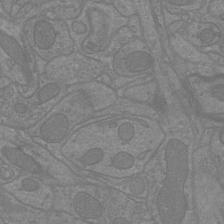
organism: Mouse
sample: Cortical neurons